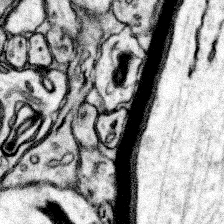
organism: Mouse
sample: Somatosensory cortex neuropil